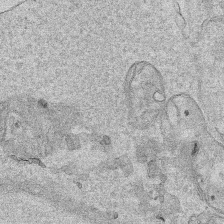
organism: Human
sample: Mitochondria in HCT116 cells